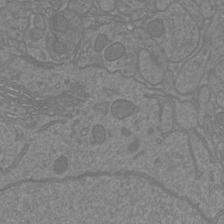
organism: Mouse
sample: Cortical neurons